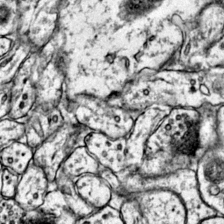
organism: Mouse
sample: Primary visual cortex